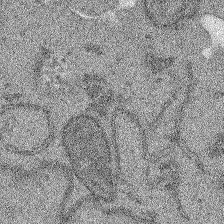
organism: Human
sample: HeLa cells